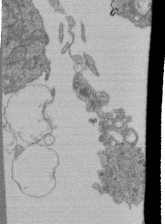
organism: Human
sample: Retinal organoid Rod and Cone cells